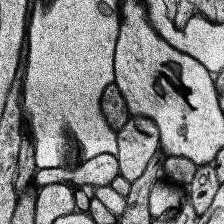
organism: Human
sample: Temporal Lobe